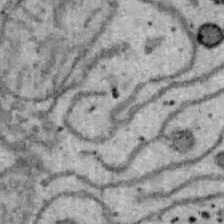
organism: Mouse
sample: Liver from an obese (ob/ob) mouse